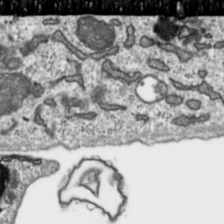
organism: Toxoplasma gondii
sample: Parasites in a vacuole inside a host cell